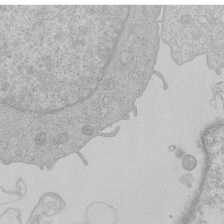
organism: Human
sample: Macrophage cells